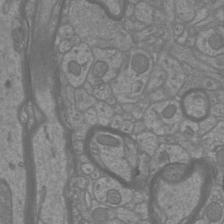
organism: Mouse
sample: Cortical neurons